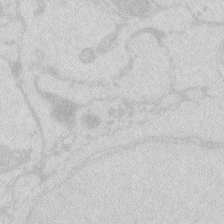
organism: Zebrafish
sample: Macrophage